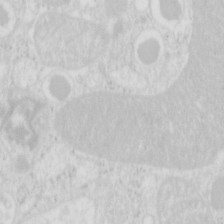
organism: Mouse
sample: Pancreas